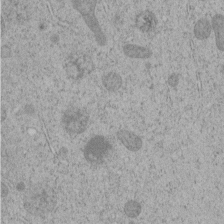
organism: C. elegans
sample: C. elegans embryo early stage